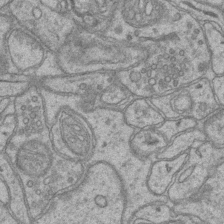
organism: Mouse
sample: CA1 Hippocampus